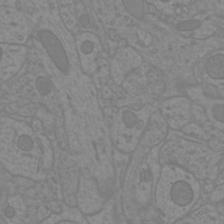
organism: Mouse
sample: Cortical neurons